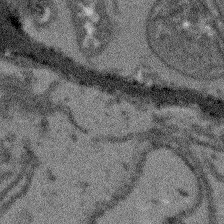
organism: Arabidopsis thaliana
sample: Root tip